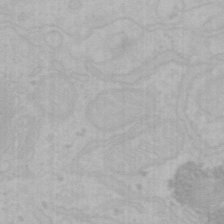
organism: Mouse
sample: Choroid plexus